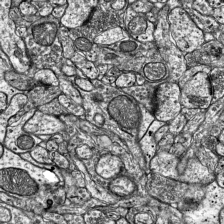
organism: Mouse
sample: Visual Cortex